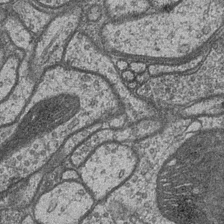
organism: Drosophila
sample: Optic medulla